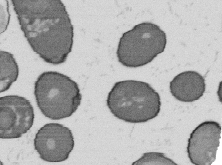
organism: B. subtilis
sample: Bacterial spore